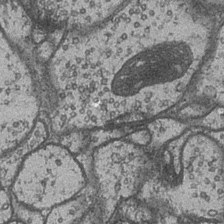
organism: Drosophila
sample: Optic medulla